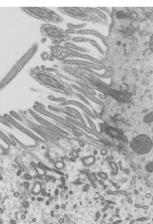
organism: Mouse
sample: Mouse epididymis efferent ductule cilia